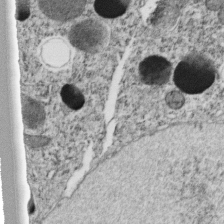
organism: C. elegans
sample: C. elegans embryo early stage